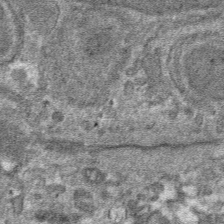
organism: Mouse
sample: Mouse hepatocytes